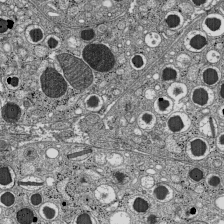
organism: C57BL Mouse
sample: Pancreatic islet